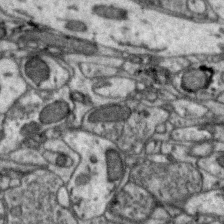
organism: Zebra finch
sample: Brain